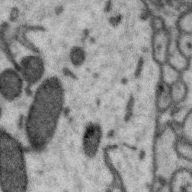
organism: Zebra finch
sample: Brain